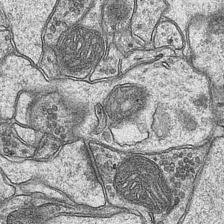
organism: Mouse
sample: CA1 Hippocampus